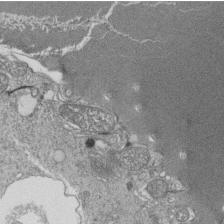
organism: Tetrahymena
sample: Cilia in tetrahymena